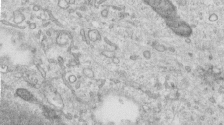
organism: Human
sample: Centriole in RPE cells